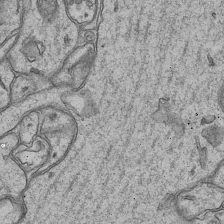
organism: Mouse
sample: CA1 Hippocampus